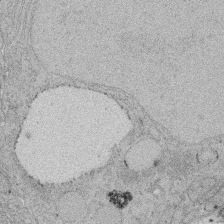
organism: Rat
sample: Salivary granule